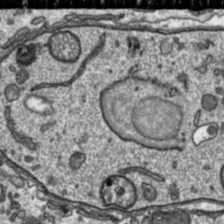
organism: Toxoplasma gondii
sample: Parasites in a vacuole inside a host cell